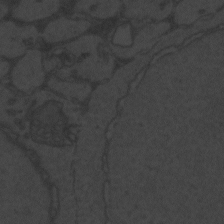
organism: Zebrafish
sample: Macrophage infected with Toxoplasma gondii